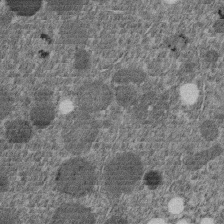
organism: C. elegans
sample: C. elegans embryo early stage